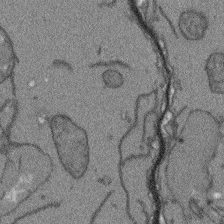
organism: Arabidopsis thaliana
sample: Root tip